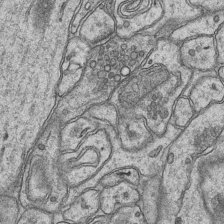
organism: Mouse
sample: CA1 Hippocampus